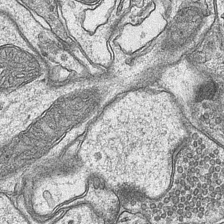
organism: Mouse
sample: CA1 Hippocampus